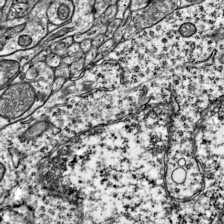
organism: Mouse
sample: Visual Cortex